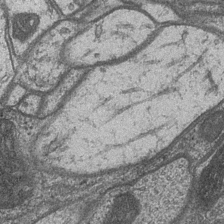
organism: Drosophila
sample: Optic medulla